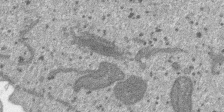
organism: Human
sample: Lung epithelial cells infected with SARS-CoV-2